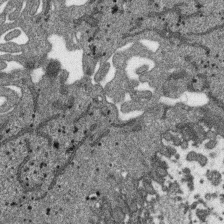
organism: Human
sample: Lung epithelial cells infected with SARS-CoV-2